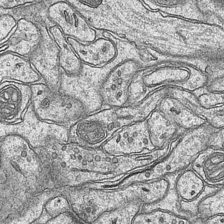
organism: Mouse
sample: CA1 Hippocampus